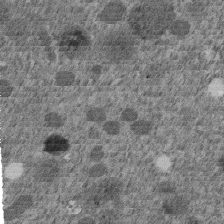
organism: C. elegans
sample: C. elegans embryo early stage